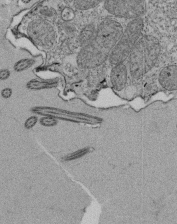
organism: Tetrahymena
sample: Cilia in tetrahymena